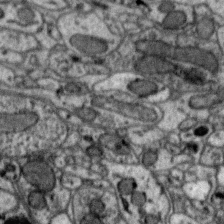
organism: Zebra finch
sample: Brain